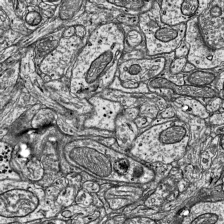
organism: Mouse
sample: Visual Cortex